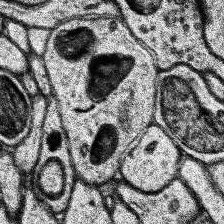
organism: Human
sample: Temporal Lobe